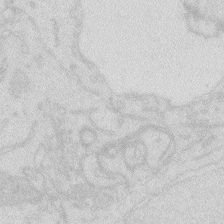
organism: Zebrafish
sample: Macrophage